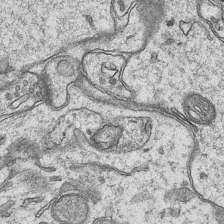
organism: Mouse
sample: CA1 Hippocampus